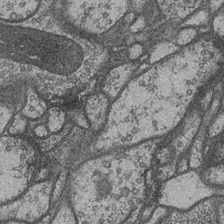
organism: Drosophila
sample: Optic medulla